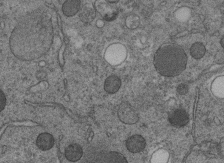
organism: C. elegans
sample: C. elegans embryo early stage